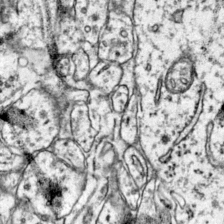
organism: Mouse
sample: Primary visual cortex